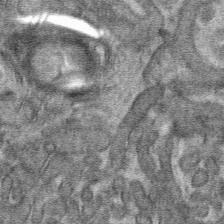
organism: Mouse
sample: Mouse hepatocytes